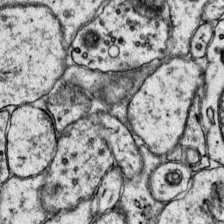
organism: Mouse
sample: Primary visual cortex